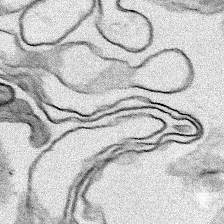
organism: Human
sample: Mitochondria in HCT116 cells